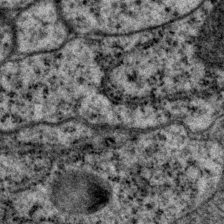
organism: P. pacificus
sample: Pharynx